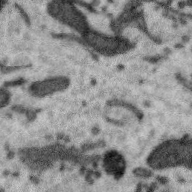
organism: Zebra finch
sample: Brain